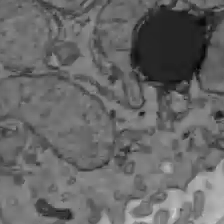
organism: C57BL Mouse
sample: Liver